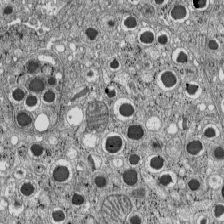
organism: C57BL Mouse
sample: Pancreatic islet